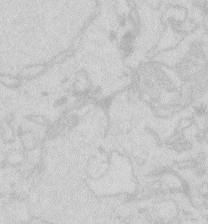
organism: Zebrafish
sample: Macrophage